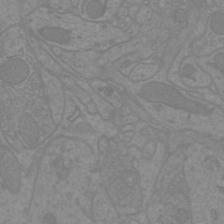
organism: Mouse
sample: Cortical neurons